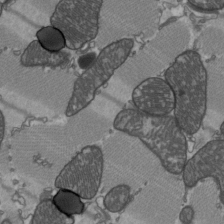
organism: C57BL Mouse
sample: Heart